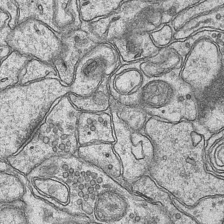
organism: Mouse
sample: CA1 Hippocampus